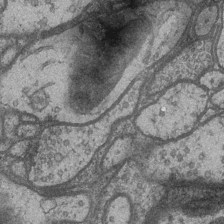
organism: Drosophila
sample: Optic medulla